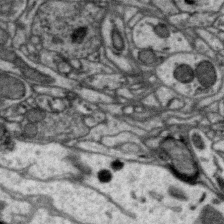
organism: Zebra finch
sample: Brain